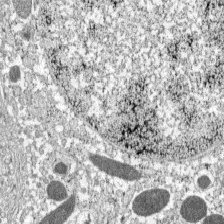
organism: C57BL Mouse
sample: Pancreatic islet